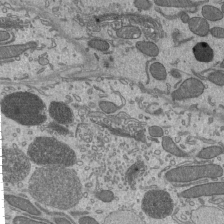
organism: Mouse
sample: Mouse epididymis efferent ductule cilia